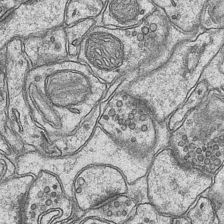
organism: Mouse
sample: CA1 Hippocampus